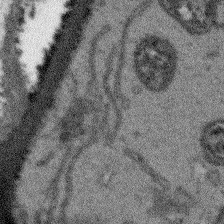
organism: Arabidopsis thaliana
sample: Root tip